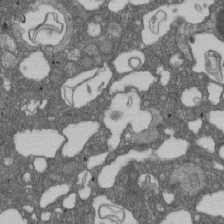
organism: Drosophila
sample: Nephrocyte